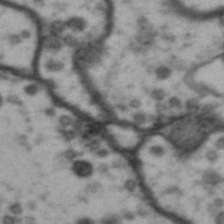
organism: Drosophila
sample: Brain